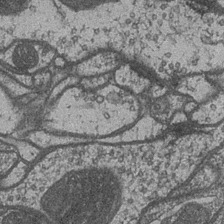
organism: Drosophila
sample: Optic medulla